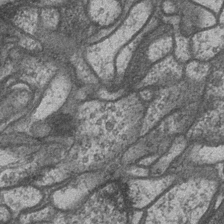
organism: Drosophila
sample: Optic medulla